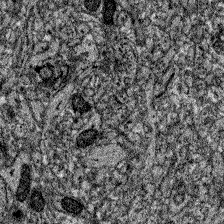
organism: Zebrafish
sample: Larval olfactory bulb